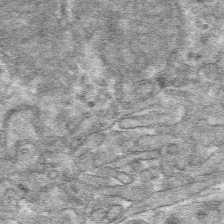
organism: Mouse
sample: Mouse hepatocytes